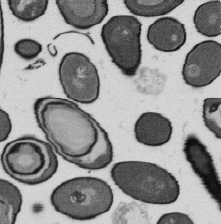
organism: B. subtilis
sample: Bacterial spore